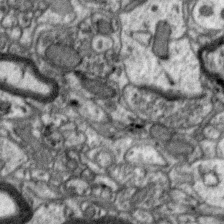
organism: Zebra finch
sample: Brain